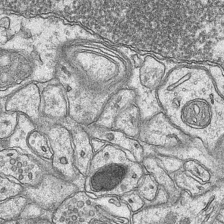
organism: Mouse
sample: CA1 Hippocampus